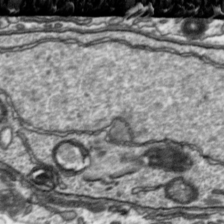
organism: Toxoplasma gondii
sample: Parasites in a vacuole inside a host cell